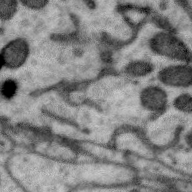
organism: Zebra finch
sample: Brain